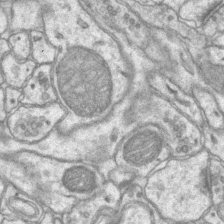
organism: Mouse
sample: CA1 Hippocampus